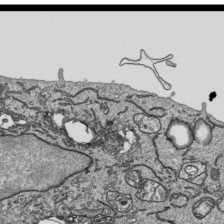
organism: Human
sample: Mitochondria in HCT116 cells